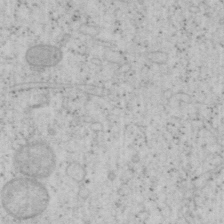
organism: Human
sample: HeLa cells